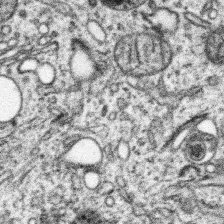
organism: Human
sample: HeLa cells